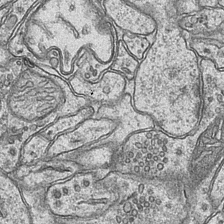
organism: Mouse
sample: CA1 Hippocampus